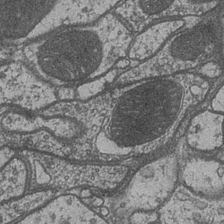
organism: Drosophila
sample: Optic medulla